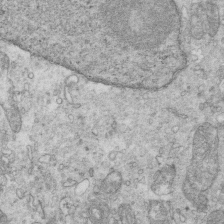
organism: Mouse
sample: Multiciliated cells